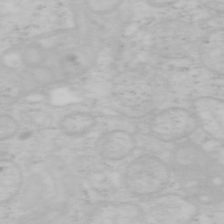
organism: Mouse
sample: OT-I killer T cells with ID8 ovarian cancer cells